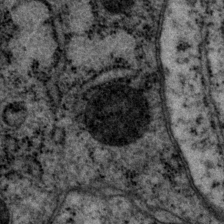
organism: P. pacificus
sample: Pharynx